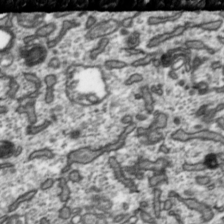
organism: Toxoplasma gondii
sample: Parasites in a vacuole inside a host cell